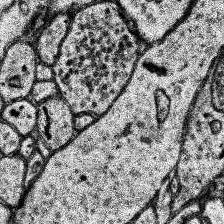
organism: Human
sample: Temporal Lobe